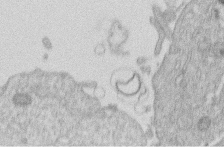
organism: Human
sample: Macrophage cells